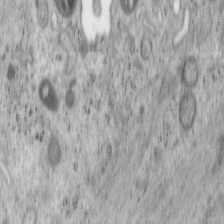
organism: Human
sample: HeLa cells